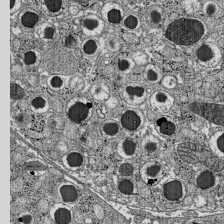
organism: C57BL Mouse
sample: Pancreatic islet